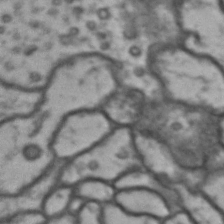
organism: Drosophila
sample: Brain